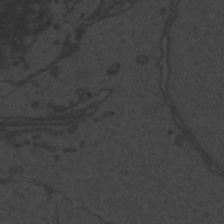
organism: Zebrafish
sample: Macrophage infected with Toxoplasma gondii